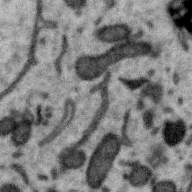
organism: Zebra finch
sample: Brain